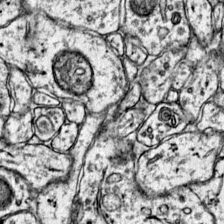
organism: Mouse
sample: Primary visual cortex